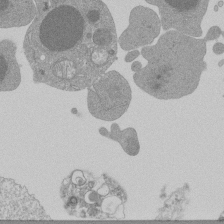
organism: Mouse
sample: Activated Pmel transgenic CD8+ T Cells